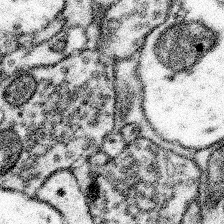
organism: Mouse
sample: Somatosensory cortex neuropil